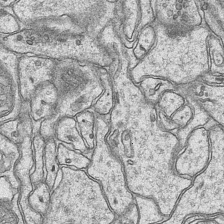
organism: Mouse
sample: CA1 Hippocampus